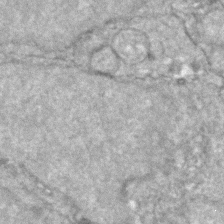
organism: Zebrafish